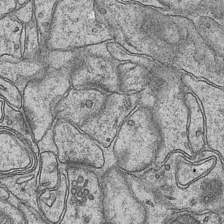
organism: Mouse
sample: CA1 Hippocampus